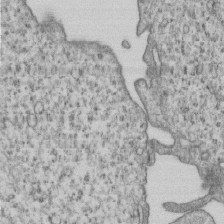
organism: Human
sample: MDA-MB-231 cells